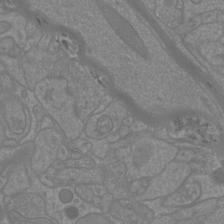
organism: Mouse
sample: Cortical neurons